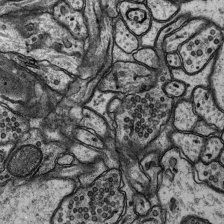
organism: Rat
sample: Hippocampus